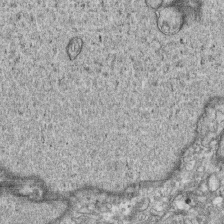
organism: Human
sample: CRL-1474